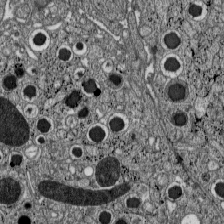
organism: C57BL Mouse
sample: Pancreatic islet